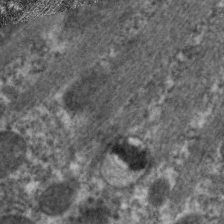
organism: C. elegans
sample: Pharynx